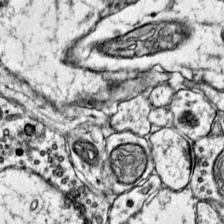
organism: Mouse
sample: Primary visual cortex